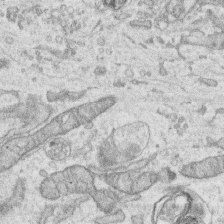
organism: Human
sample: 1205lu cells